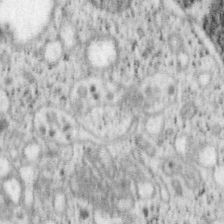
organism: Mouse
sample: OT-I killer T cells with ID8 ovarian cancer cells